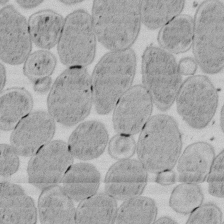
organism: E. coli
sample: Bacterial nucleoid